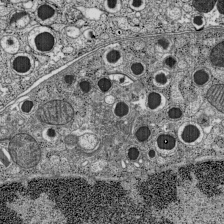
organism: C57BL Mouse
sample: Pancreatic islet